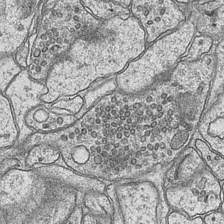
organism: Mouse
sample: CA1 Hippocampus